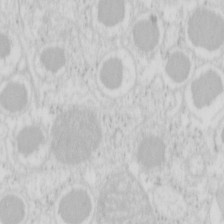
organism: Mouse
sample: Pancreas